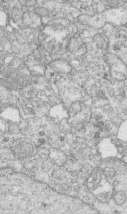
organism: Human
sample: HeLa cell HIV synapse